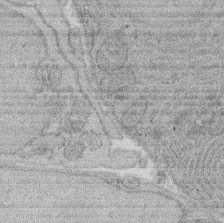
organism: Rat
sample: Salivary granule